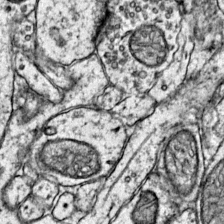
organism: Mouse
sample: Primary visual cortex